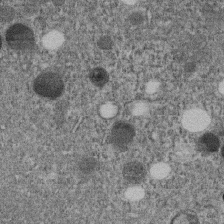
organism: C. elegans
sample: C. elegans embryo early stage